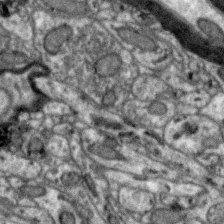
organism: Zebra finch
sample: Brain